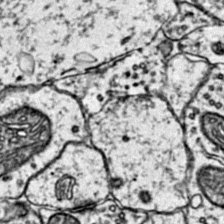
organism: Mouse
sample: Primary visual cortex